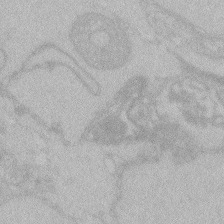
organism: Zebrafish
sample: Macrophage infected with Toxoplasma gondii